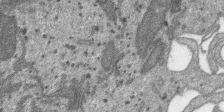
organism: Human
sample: Lung epithelial cells infected with SARS-CoV-2